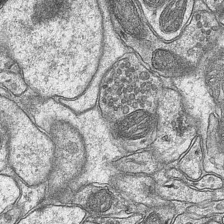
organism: Mouse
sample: CA1 Hippocampus